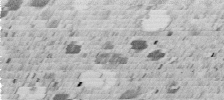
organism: C. elegans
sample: C. elegans embryo early stage